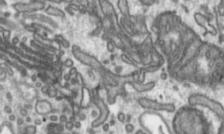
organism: Toxoplasma gondii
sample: Parasites in a vacuole inside a host cell